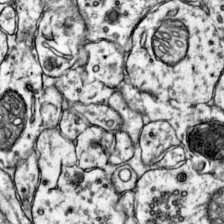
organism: Mouse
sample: Primary visual cortex